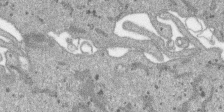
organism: Human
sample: Lung epithelial cells infected with SARS-CoV-2